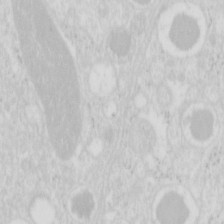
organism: Mouse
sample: Pancreas